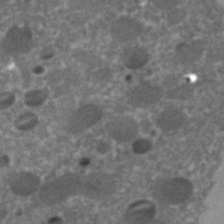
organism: C. elegans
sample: C. elegans embryo